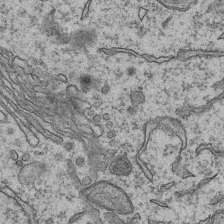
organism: Mouse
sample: CA1 Hippocampus